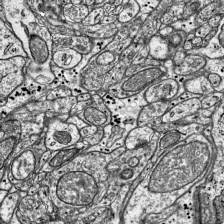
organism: Mouse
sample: Visual Cortex